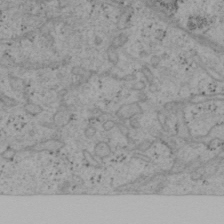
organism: Human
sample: HeLa cells